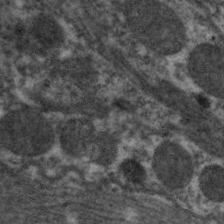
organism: C. elegans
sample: Pharynx